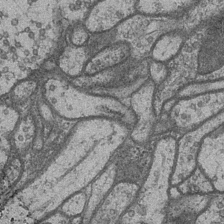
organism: Drosophila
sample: Optic medulla